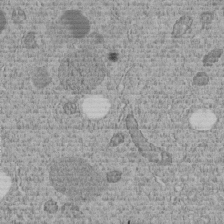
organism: C. elegans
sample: C. elegans embryo early stage